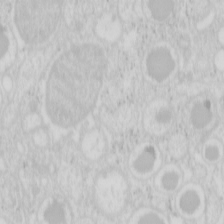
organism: Mouse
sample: Pancreas